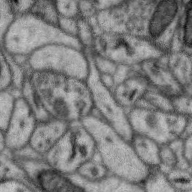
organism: Zebra finch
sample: Brain